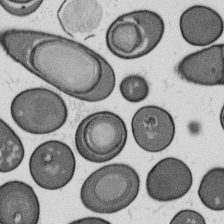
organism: B. subtilis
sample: Bacterial spore